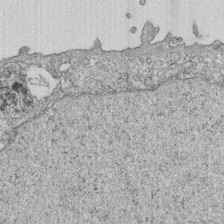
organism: Human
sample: HeLa cell HIV synapse